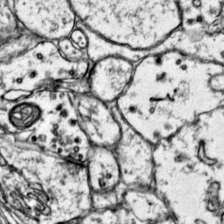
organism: Mouse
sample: Primary visual cortex